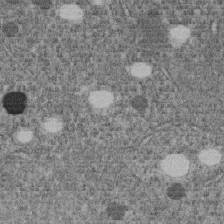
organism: C. elegans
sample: C. elegans embryo early stage